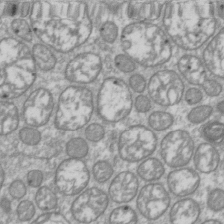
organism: Drosophila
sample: Cell division; meiosis; drosophila spermatocytes